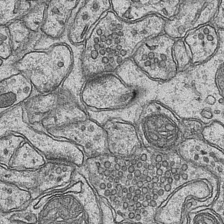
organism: Mouse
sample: CA1 Hippocampus